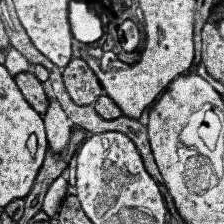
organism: Human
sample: Temporal Lobe